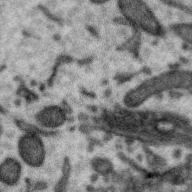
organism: Zebra finch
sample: Brain